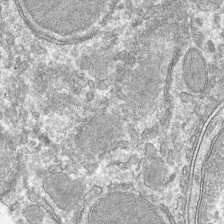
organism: Mouse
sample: Mouse hepatocytes